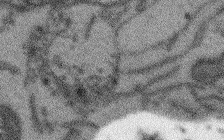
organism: Arabidopsis thaliana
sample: Root tip